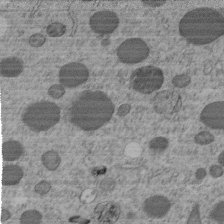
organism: C. elegans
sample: C. elegans embryo early stage